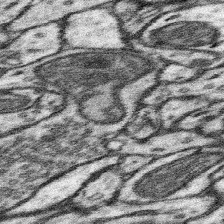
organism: Mouse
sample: Somatosensory cortex neuropil